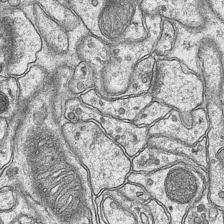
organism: Mouse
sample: CA1 Hippocampus